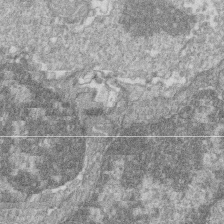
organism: Zebrafish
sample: Cilia; retinal pigment epithelium